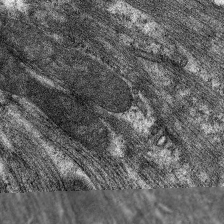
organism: C. elegans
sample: Pharynx